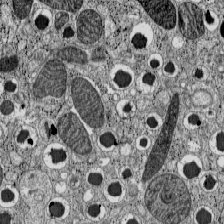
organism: C57BL Mouse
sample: Pancreatic islet